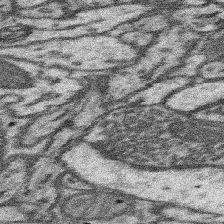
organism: Mouse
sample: Somatosensory cortex neuropil